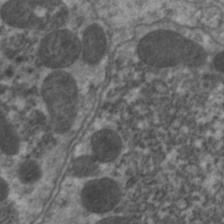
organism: C. elegans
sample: Pharynx